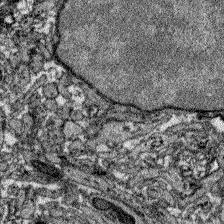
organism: Zebrafish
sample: Larval olfactory bulb